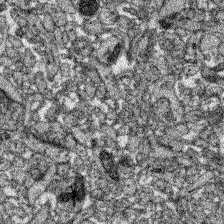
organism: Zebrafish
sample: Larval olfactory bulb